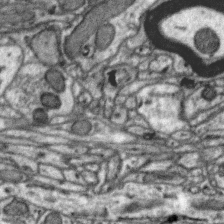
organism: Zebra finch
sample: Brain